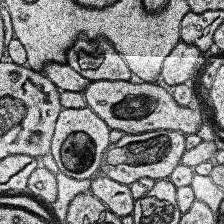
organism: Human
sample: Temporal Lobe